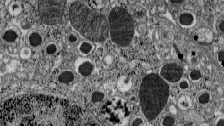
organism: C57BL Mouse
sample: Pancreatic islet